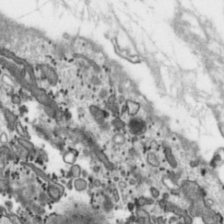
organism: Toxoplasma gondii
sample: Parasites in a vacuole inside a host cell